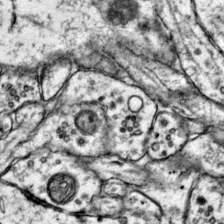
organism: Mouse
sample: Primary visual cortex